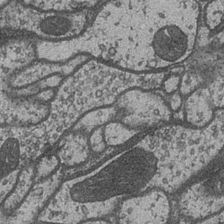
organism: Drosophila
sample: Optic medulla